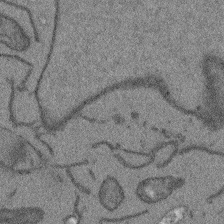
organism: Arabidopsis thaliana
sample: Root tip